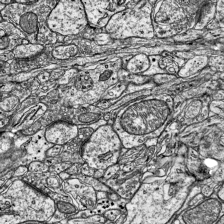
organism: Mouse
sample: Visual Cortex